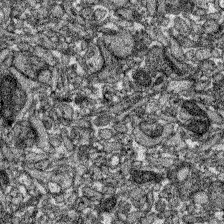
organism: Zebrafish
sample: Larval olfactory bulb